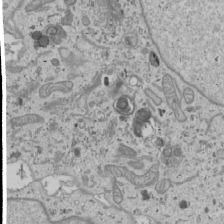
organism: Human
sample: Mitochondria in U2OS cells